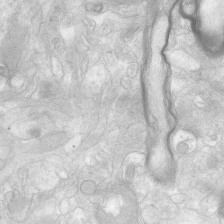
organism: Human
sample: Neocortex